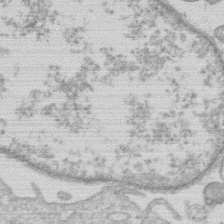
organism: Human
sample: Macrophage cells